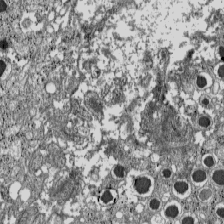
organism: C57BL Mouse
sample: Pancreatic islet